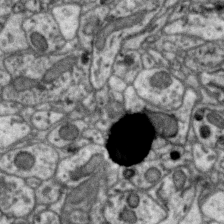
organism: Zebra finch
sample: Brain